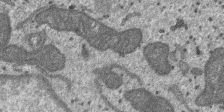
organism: Human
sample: Lung epithelial cells infected with SARS-CoV-2